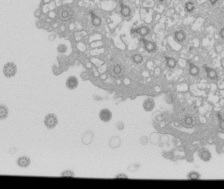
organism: Xenopus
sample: Cilia; centrioles in frog embryo cells